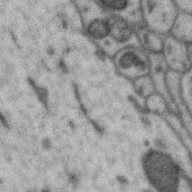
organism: Zebra finch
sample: Brain